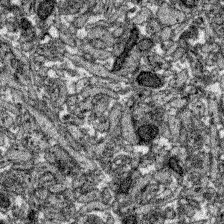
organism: Zebrafish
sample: Larval olfactory bulb